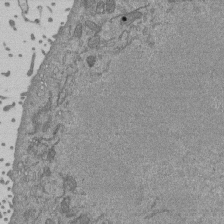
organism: Mouse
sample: ED-1 cell nuclei; centrioles